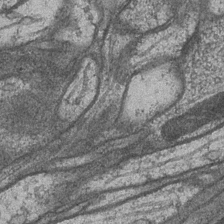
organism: Drosophila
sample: Optic medulla